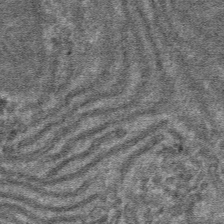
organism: Mouse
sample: Mouse hepatocytes